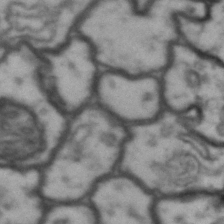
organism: Drosophila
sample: Brain